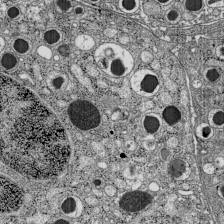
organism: C57BL Mouse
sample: Pancreatic islet